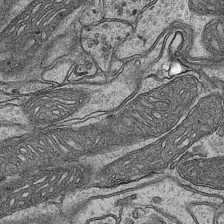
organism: Mouse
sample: CA1 Hippocampus